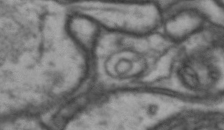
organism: Drosophila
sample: Brain